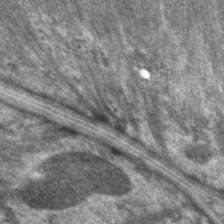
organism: C. elegans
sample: Pharynx